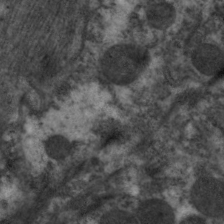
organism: C. elegans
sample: Pharynx